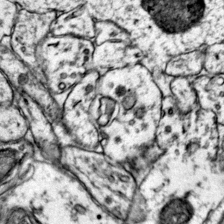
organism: Mouse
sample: Primary visual cortex